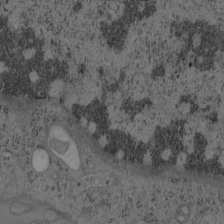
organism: Mouse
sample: OT-I killer T cells with ID8 ovarian cancer cells